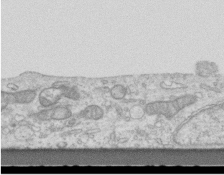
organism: Mouse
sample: Centriole in ependymal cells